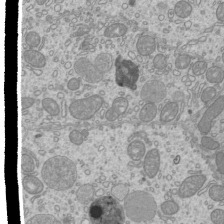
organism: Mouse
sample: Cilia; mouse epididymis